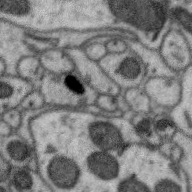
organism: Zebra finch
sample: Brain